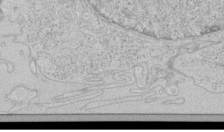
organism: Human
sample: Mitochondria in HCT116 cells